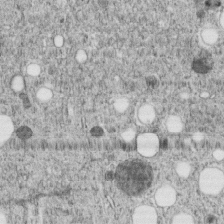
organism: C. elegans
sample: C. elegans embryo early stage